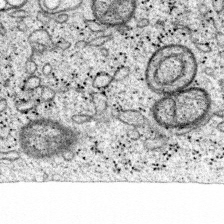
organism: Human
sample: HeLa cells